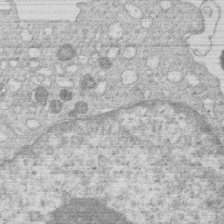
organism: Human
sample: Macrophage cells